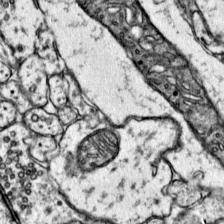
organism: Mouse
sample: Primary visual cortex